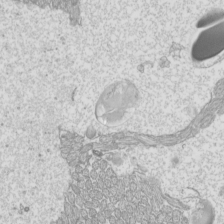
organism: Mouse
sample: Cilia; mouse epididymis